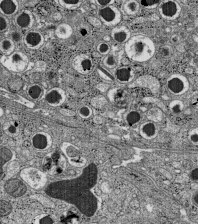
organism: C57BL Mouse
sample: Pancreatic islet